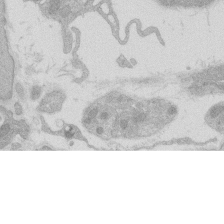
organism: Rat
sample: Salivary granule